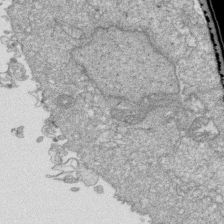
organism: Human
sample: HeLa cell HIV synapse